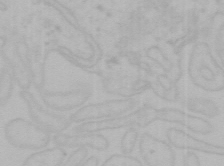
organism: Mouse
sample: Choroid plexus